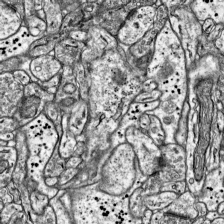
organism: Mouse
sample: Visual Cortex